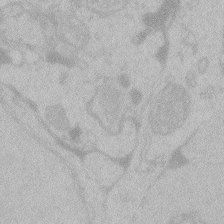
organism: Zebrafish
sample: Macrophage infected with Toxoplasma gondii